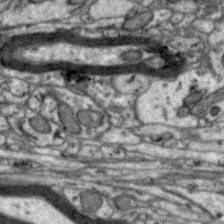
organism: Zebra finch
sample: Brain